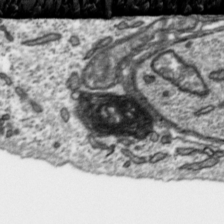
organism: Toxoplasma gondii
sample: Parasites in a vacuole inside a host cell